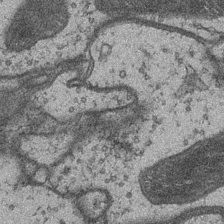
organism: Drosophila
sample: Optic medulla